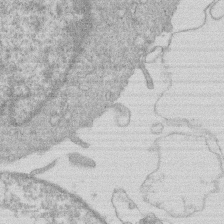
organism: Human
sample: Macrophage cells